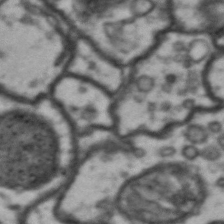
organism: Drosophila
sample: Brain